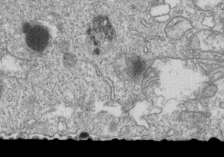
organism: Human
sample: HeLa cell HIV synapse